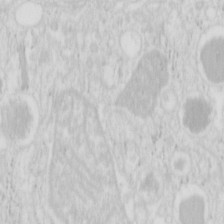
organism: Mouse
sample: Pancreas